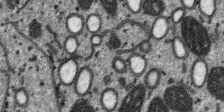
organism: Human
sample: Lung epithelial cells infected with SARS-CoV-2